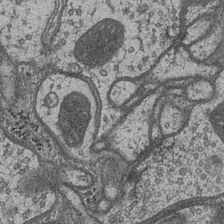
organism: Drosophila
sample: Optic medulla